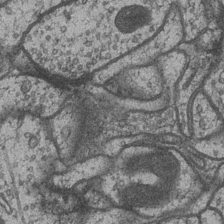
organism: Drosophila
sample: Optic medulla